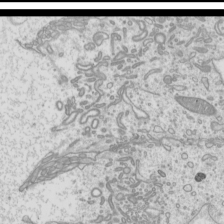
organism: Mouse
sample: Cilia; mouse epididymis